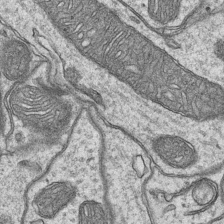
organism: Mouse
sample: CA1 Hippocampus